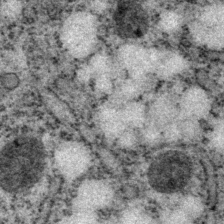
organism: P. pacificus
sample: Pharynx